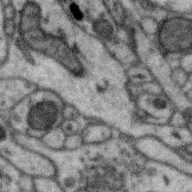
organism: Zebra finch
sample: Brain